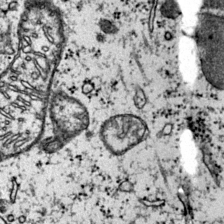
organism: Mouse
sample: Primary visual cortex